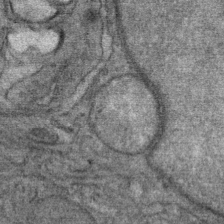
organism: Mouse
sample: Mouse Salivary gland